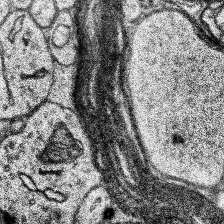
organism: Human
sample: Temporal Lobe